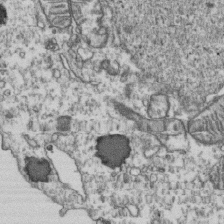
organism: Human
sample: Activated Jurkat CD4+ T cells